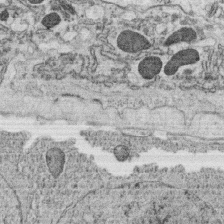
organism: C. elegans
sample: C. elegans oocyte; sperm cells